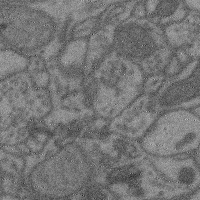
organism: Mouse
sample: Cerebral cortex